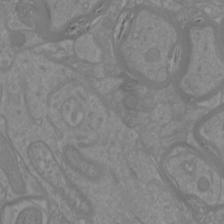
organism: Mouse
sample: Cortical neurons